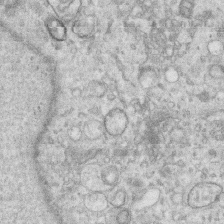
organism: Human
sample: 1205lu cells